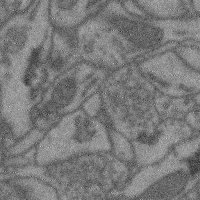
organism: Mouse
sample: Cerebral cortex